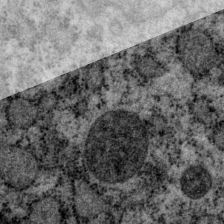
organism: P. pacificus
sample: Pharynx